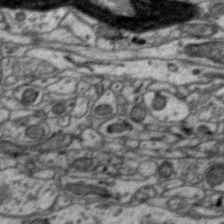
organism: Zebra finch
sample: Brain